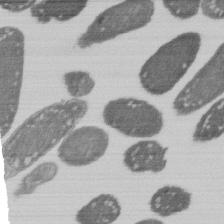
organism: E. coli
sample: Bacterial nucleoid